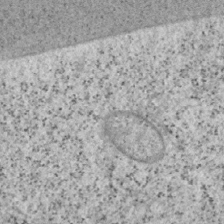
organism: Mouse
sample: OT-I killer T cells with ID8 ovarian cancer cells